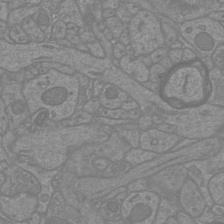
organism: Mouse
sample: Cortical neurons